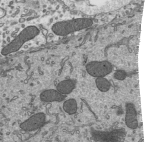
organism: Mouse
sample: Mouse epididymis efferent ductule cilia